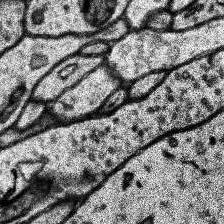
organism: Human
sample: Temporal Lobe